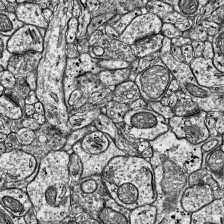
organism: Mouse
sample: Visual Cortex